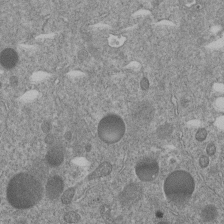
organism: C. elegans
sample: C. elegans embryo early stage